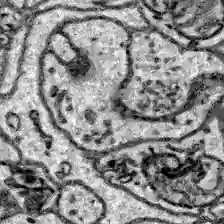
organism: Zebrafish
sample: Brain